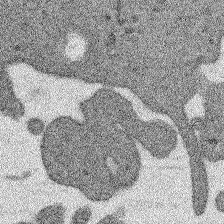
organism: Human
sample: HeLa cells